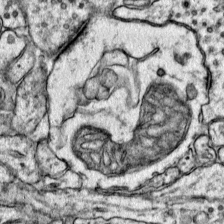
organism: Mouse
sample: Primary visual cortex